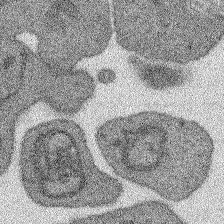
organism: Human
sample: HeLa cells